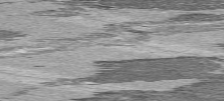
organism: C57BL Mouse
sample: Heart